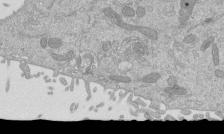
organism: Mouse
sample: ED-1 cell nuclei; centrioles